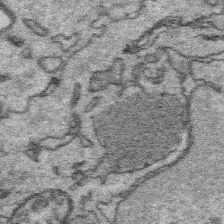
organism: Platynereis dumerilii